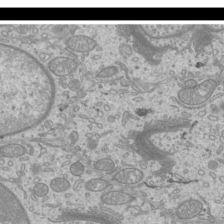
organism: Mouse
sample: Cilia; mouse epididymis